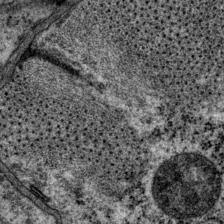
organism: P. pacificus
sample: Pharynx